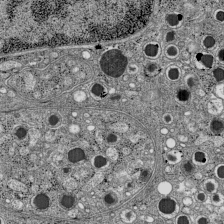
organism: C57BL Mouse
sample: Pancreatic islet